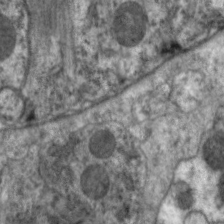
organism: C. elegans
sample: Pharynx